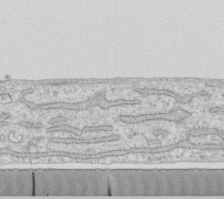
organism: Human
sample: Fibroblast cells